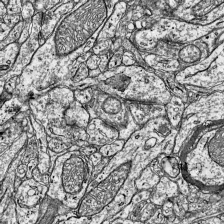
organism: Mouse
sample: Visual Cortex